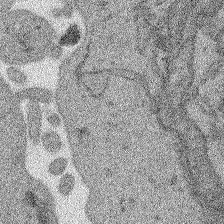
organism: Human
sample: HeLa cells